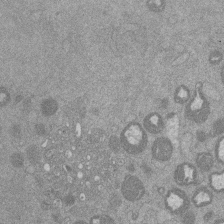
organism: Mouse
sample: Dividing mouse embryo 1 cell stage